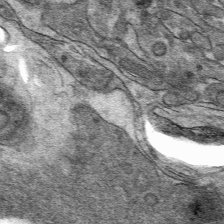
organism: Mouse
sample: Mouse hepatocytes